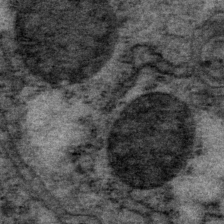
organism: P. pacificus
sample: Pharynx